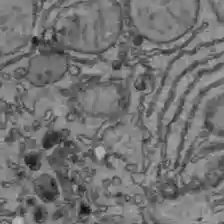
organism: C57BL Mouse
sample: Liver